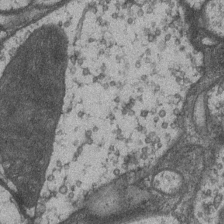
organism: Drosophila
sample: Optic medulla